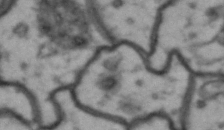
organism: Drosophila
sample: Brain